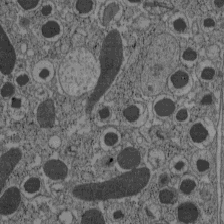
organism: C57BL Mouse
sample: Pancreatic islet